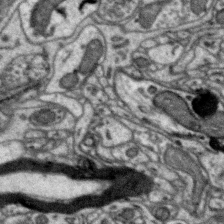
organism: Zebra finch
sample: Brain